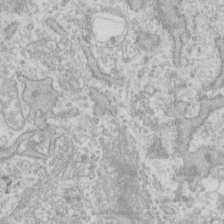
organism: Human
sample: Fibroblast cells